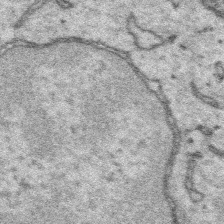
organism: Platynereis dumerilii